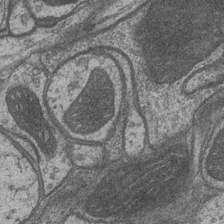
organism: Drosophila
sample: Optic medulla